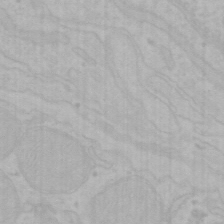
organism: Mouse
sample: Choroid plexus